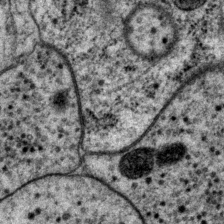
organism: P. pacificus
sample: Pharynx